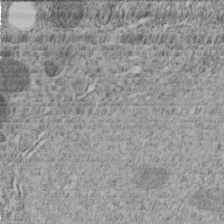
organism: C. elegans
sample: C. elegans embryo early stage